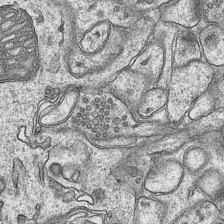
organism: Mouse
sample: CA1 Hippocampus